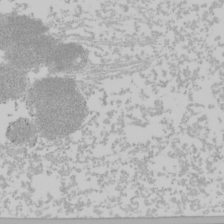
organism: Mouse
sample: Cancer cell death in ED-1 cells